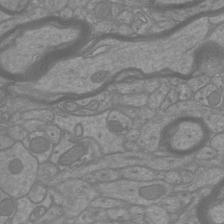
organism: Mouse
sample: Cortical neurons